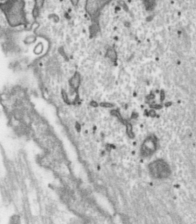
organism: Toxoplasma gondii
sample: Parasites in a vacuole inside a host cell